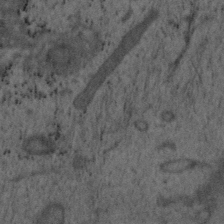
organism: Human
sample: HeLa cells